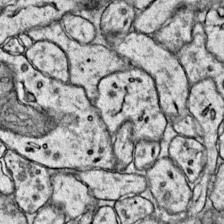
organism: Mouse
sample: Primary visual cortex